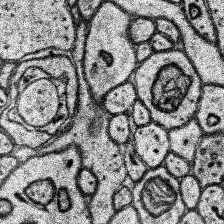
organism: Human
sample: Temporal Lobe